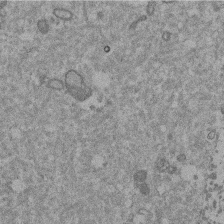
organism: Mouse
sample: Dividing mouse embryo 1 cell stage